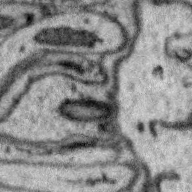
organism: Zebra finch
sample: Brain